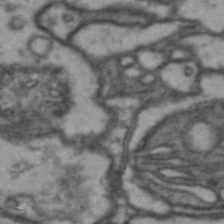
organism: Drosophila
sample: Brain